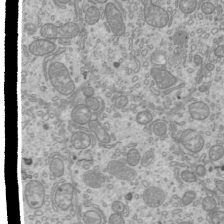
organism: Mouse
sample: Cilia; mouse epididymis